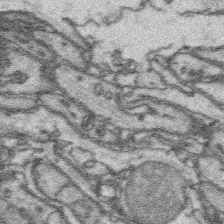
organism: Platynereis dumerilii